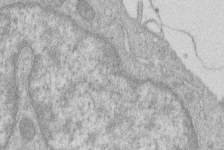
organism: Human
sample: Macrophage cells